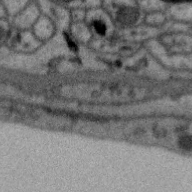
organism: Zebra finch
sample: Brain